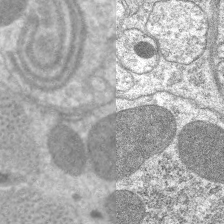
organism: C. elegans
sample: Pharynx